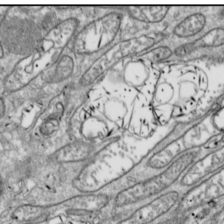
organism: Drosophila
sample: Cell division; meiosis; drosophila spermatocytes